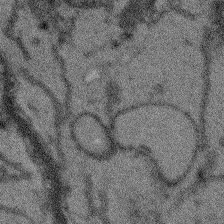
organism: Arabidopsis thaliana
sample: Root tip